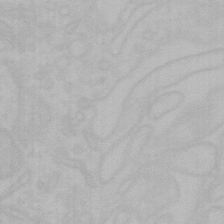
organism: Mouse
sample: Choroid plexus